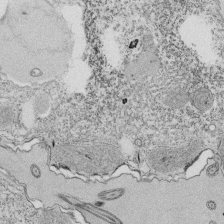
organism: Tetrahymena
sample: Cilia in tetrahymena